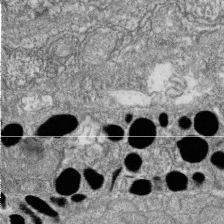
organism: Zebrafish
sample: Cilia; retinal pigment epithelium